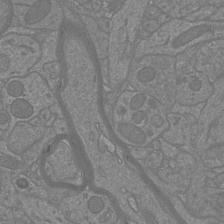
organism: Mouse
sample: Cortical neurons